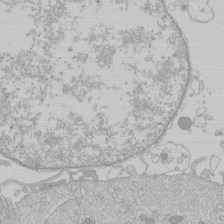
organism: Human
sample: Macrophage cells